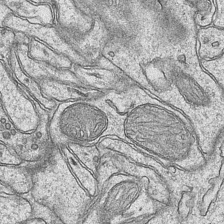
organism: Mouse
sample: CA1 Hippocampus